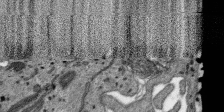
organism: Human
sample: Lung epithelial cells, uninfected (mock) control